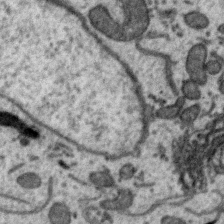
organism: Zebra finch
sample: Brain